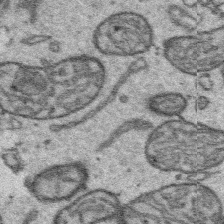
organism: Platynereis dumerilii